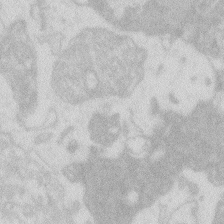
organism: Zebrafish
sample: Macrophage